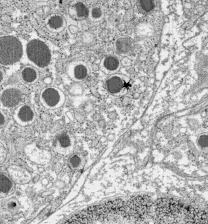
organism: C57BL Mouse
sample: Pancreatic islet